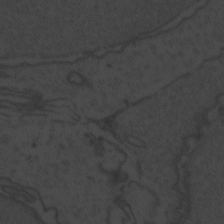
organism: Zebrafish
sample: Macrophage infected with Toxoplasma gondii